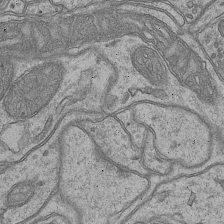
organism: Mouse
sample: CA1 Hippocampus